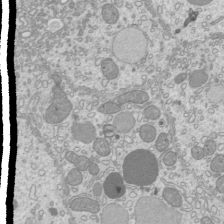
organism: Mouse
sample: Cilia; mouse epididymis